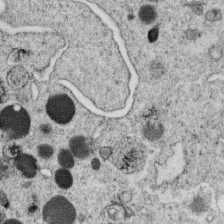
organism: C. elegans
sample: C. elegans oocyte; sperm cells